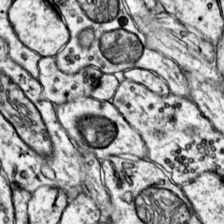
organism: Mouse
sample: Primary visual cortex